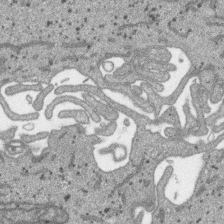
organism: Human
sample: Lung epithelial cells infected with SARS-CoV-2